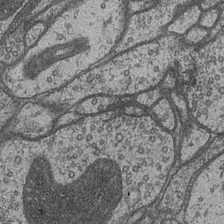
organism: Drosophila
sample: Optic medulla